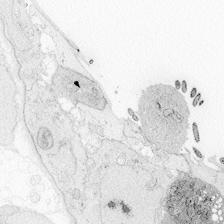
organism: Zebrafish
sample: Whole-Brain